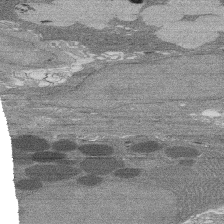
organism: Rat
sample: Salivary granule